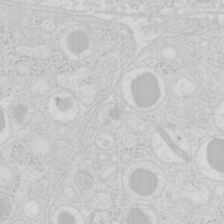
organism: Mouse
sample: Pancreas